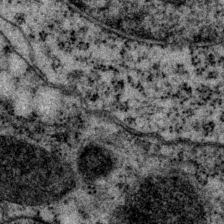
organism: P. pacificus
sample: Pharynx